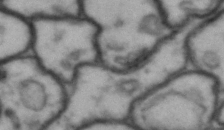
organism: Drosophila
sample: Brain